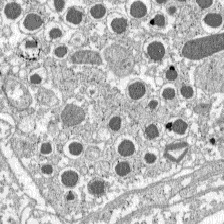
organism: C57BL Mouse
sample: Pancreatic islet